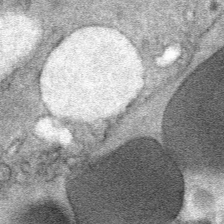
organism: Mouse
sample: Mouse Salivary gland